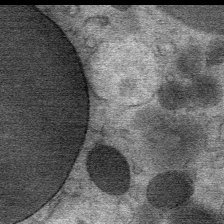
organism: Mouse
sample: Mouse Salivary gland